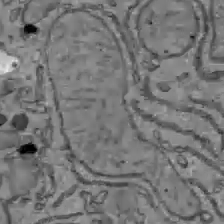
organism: C57BL Mouse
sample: Liver